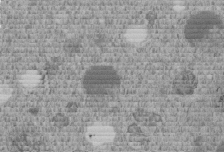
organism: C. elegans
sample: C. elegans embryo early stage